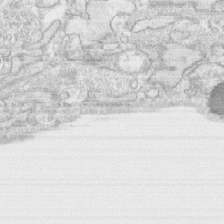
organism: Human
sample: CRL-1474